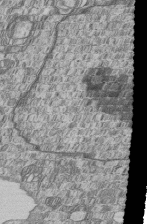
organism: Human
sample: MDA-MB-231 cells